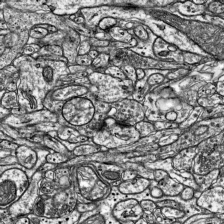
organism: Mouse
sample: Visual Cortex